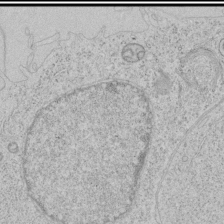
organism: Human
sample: Mitochondria in HCT116 cells